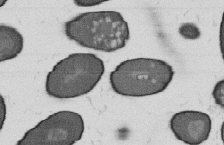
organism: B. subtilis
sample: Bacterial spore